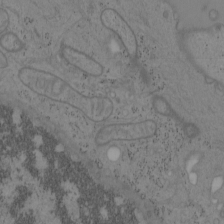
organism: Mouse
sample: OT-I killer T cells with ID8 ovarian cancer cells